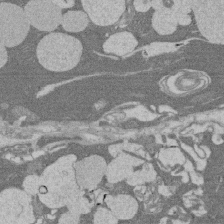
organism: Rat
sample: Salivary granule